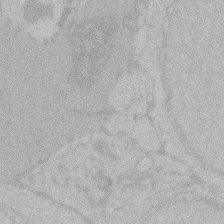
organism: Zebrafish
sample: Macrophage infected with Toxoplasma gondii